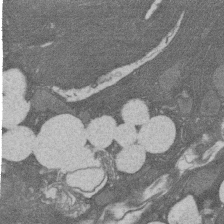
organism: Rat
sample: Salivary granule